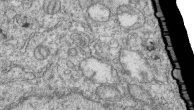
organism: Human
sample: HeLa cell HIV synapse